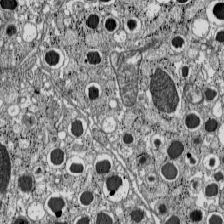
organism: C57BL Mouse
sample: Pancreatic islet